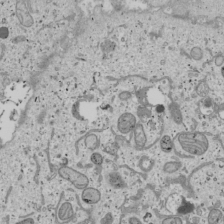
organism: Human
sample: Mitochondria in U2OS cells